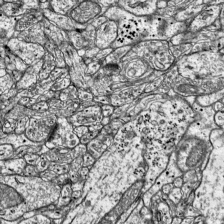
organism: Mouse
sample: Visual Cortex